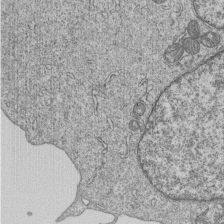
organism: Human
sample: MDA-MB-231 cells